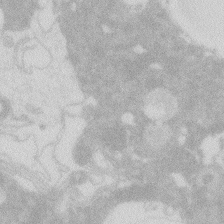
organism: Zebrafish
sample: Macrophage